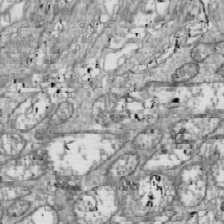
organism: Drosophila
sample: Cell division; meiosis; drosophila spermatocytes